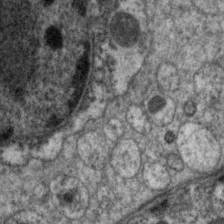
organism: C. elegans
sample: Pharynx